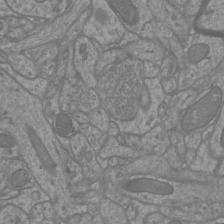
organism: Mouse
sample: Cortical neurons